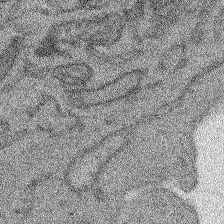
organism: Human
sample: HeLa cells